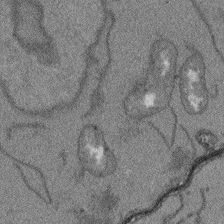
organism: Arabidopsis thaliana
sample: Root tip